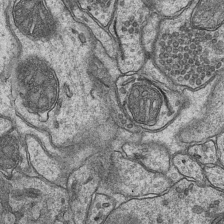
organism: Mouse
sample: CA1 Hippocampus